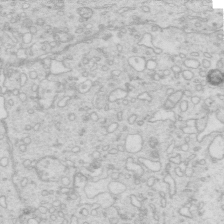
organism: Mouse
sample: Multiciliated cells